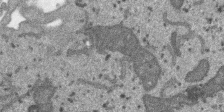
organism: Human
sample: Lung epithelial cells infected with SARS-CoV-2